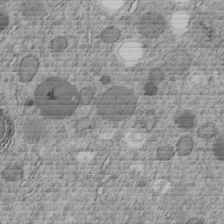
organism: C. elegans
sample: C. elegans embryo early stage